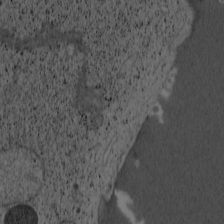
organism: African green monkey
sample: COS-7 cells